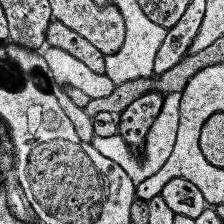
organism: Human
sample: Temporal Lobe